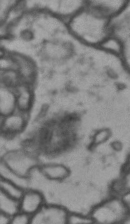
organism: Drosophila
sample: Brain